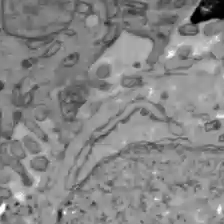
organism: C57BL Mouse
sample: Liver